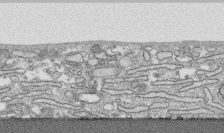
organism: Human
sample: CRL-1474